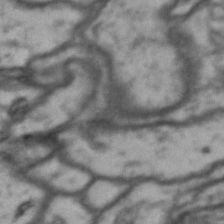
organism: Drosophila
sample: Brain